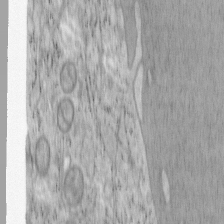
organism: Human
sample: HeLa cells